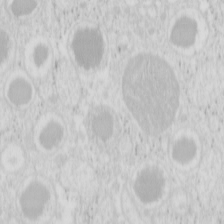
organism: Mouse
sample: Pancreas